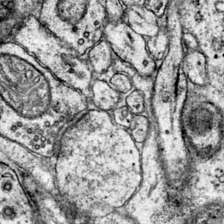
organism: Mouse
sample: Primary visual cortex